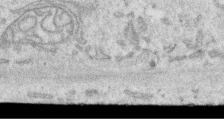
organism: Human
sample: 1205lu cells